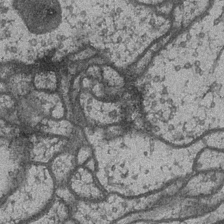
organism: Drosophila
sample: Optic medulla